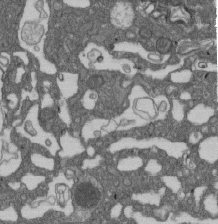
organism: Drosophila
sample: Nephrocyte